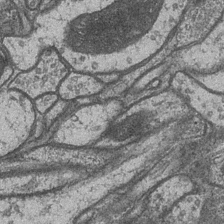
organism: Drosophila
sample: Optic medulla